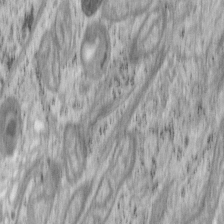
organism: Human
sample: HeLa cells